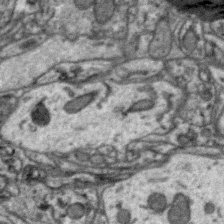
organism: Zebra finch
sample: Brain